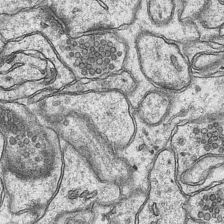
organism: Mouse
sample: CA1 Hippocampus